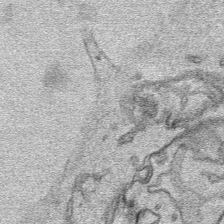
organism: Human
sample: Mitochondria in HCT116 cells